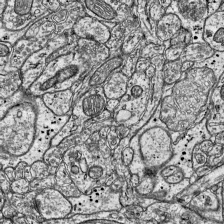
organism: Mouse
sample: Visual Cortex